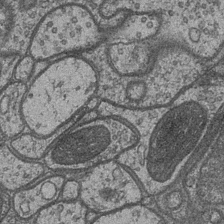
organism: Drosophila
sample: Optic medulla